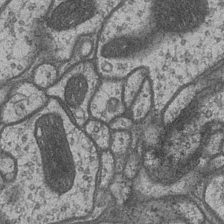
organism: Drosophila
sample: Optic medulla